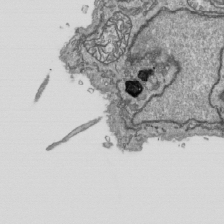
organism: Human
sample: Mitochondria in HCT116 cells